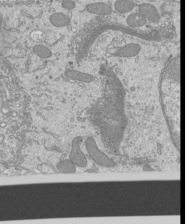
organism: Mouse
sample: Cilia; mouse epididymis